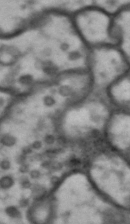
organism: Drosophila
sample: Brain